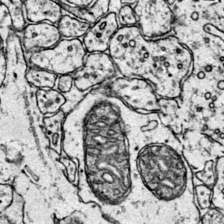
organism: Mouse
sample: Primary visual cortex